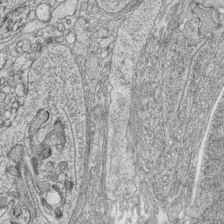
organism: Zebrafish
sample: synaptic ribbons in rod cells and cone cells